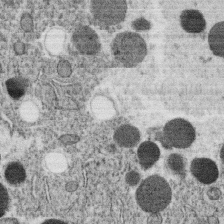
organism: C. elegans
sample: C. elegans oocyte; sperm cells